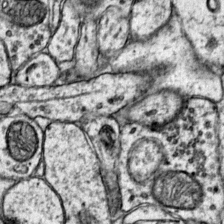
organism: Mouse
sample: Primary visual cortex